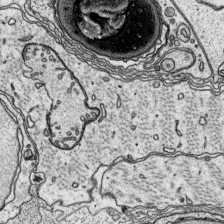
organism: Platynereis dumerilii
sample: Parapodia